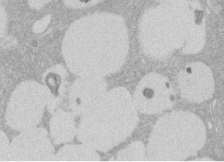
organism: Rat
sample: Salivary granule